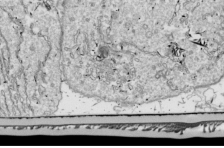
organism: Drosophila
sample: Cell division; meiosis; drosophila spermatocytes